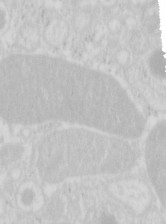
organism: Mouse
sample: Pancreas